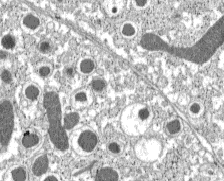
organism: C57BL Mouse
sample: Pancreatic islet